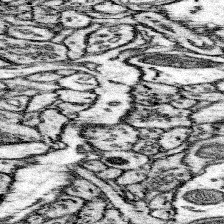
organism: Mouse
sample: Somatosensory cortex neuropil